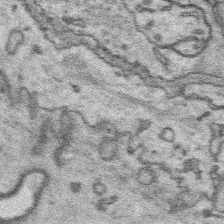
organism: Platynereis dumerilii